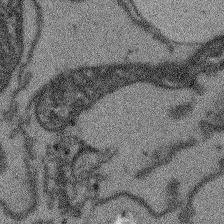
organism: Arabidopsis thaliana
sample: Root tip